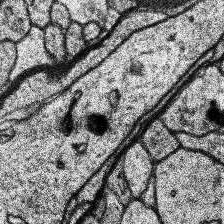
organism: Human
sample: Temporal Lobe